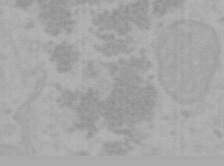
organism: Mouse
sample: Choroid plexus